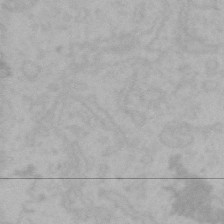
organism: Mouse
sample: Choroid plexus